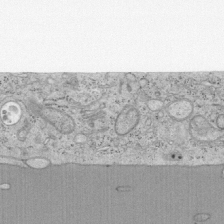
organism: Human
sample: HeLa cells